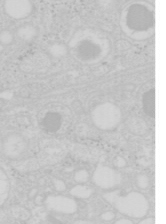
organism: Mouse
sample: Pancreas